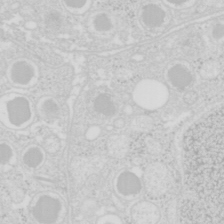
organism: Mouse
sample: Pancreas